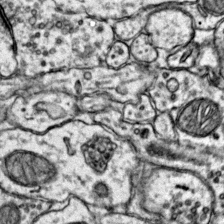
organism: Mouse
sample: Primary visual cortex